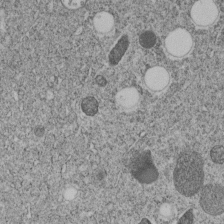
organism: C. elegans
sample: C. elegans embryo early stage